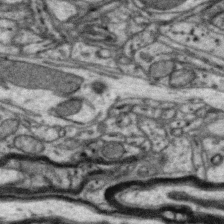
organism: Zebra finch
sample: Brain